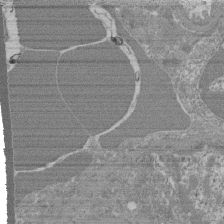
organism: Mouse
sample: Glomerulus